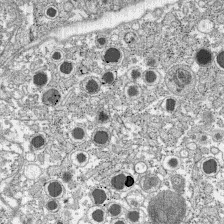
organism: C57BL Mouse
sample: Pancreatic islet